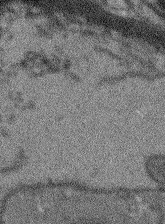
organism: Arabidopsis thaliana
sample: Root tip